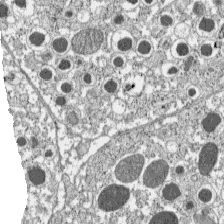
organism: C57BL Mouse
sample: Pancreatic islet